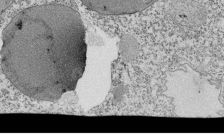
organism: Tetrahymena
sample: Cilia in tetrahymena